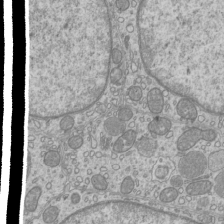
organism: Mouse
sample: Cilia; mouse epididymis